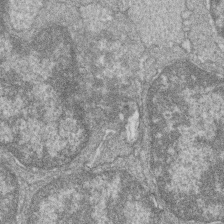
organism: Zebrafish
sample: Cilia; retinal pigment epithelium